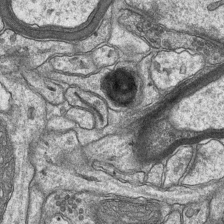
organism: Mouse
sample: CA1 Hippocampus